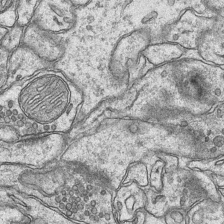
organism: Mouse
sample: CA1 Hippocampus